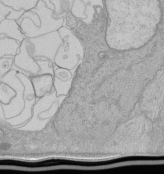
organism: Human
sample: Retinal organoid Rod and Cone cells